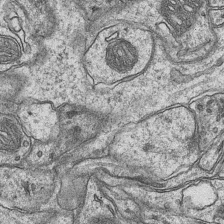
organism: Mouse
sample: CA1 Hippocampus